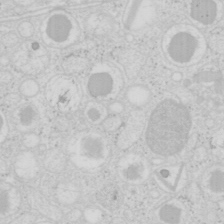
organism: Mouse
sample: Pancreas